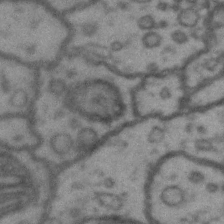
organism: Drosophila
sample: Brain